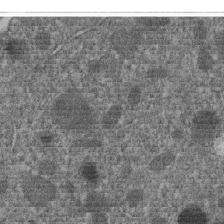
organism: C. elegans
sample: C. elegans embryo early stage